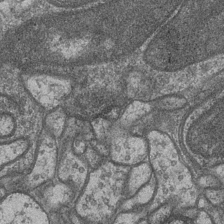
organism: Drosophila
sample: Optic medulla